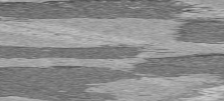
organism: C57BL Mouse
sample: Heart